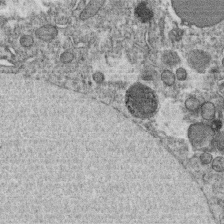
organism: C. elegans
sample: C. elegans oocyte; sperm cells